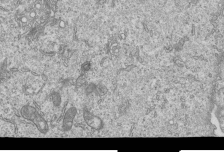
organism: Human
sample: MDA-MB-231 cells